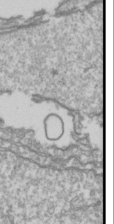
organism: Drosophila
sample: Cell division; meiosis; drosophila spermatocytes